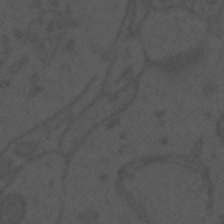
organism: Mouse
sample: Suprachiasmatic nucleus